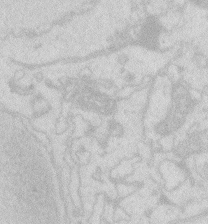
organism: Zebrafish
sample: Macrophage